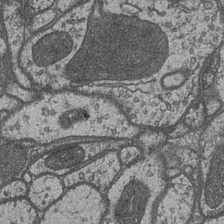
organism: Drosophila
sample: Optic medulla